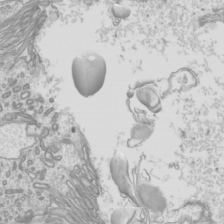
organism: Mouse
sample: Cilia; mouse epididymis